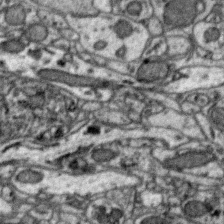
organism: Zebra finch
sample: Brain